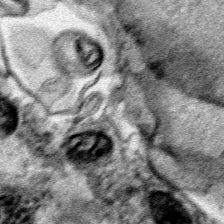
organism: Human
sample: Mitochondria in HCT116 cells